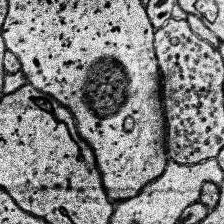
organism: Human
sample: Temporal Lobe